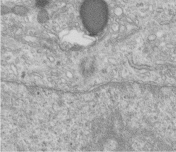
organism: Human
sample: Centriole in fibroblast cells